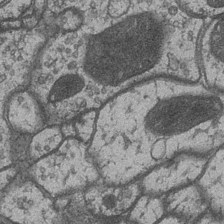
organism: Drosophila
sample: Optic medulla